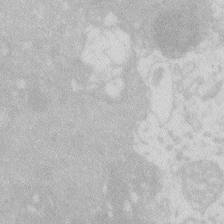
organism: Zebrafish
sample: Macrophage